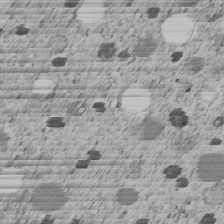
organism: C. elegans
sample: C. elegans embryo early stage